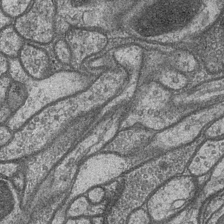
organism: Drosophila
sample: Optic medulla